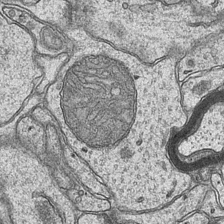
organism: Mouse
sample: CA1 Hippocampus